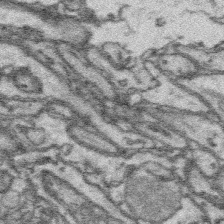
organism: Platynereis dumerilii